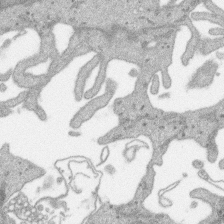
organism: Human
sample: Lung epithelial cells infected with SARS-CoV-2